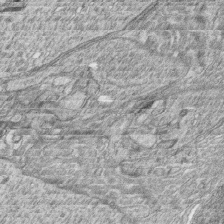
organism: Zebrafish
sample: synaptic ribbons in rod cells and cone cells